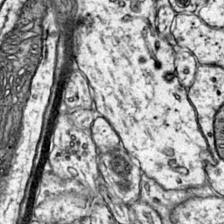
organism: Mouse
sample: Primary visual cortex